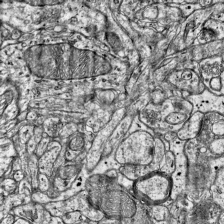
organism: Mouse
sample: Visual Cortex